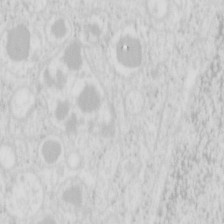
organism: Mouse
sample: Pancreas